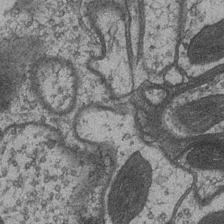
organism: Drosophila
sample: Optic medulla